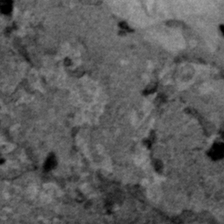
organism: Human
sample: Mitochondria in HCT116 cells